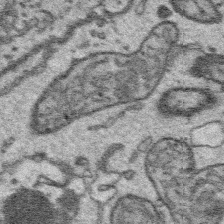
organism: Platynereis dumerilii